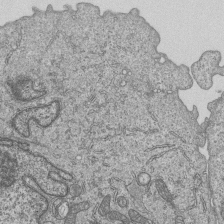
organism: Human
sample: MDA-MB-231 cells